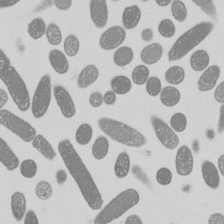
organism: E. coli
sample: Bacterial nucleoid